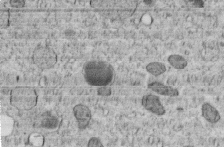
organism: C. elegans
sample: C. elegans embryo early stage